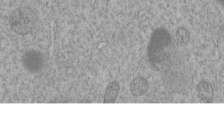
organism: C. elegans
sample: C. elegans embryo early stage